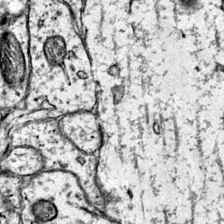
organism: Mouse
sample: Primary visual cortex